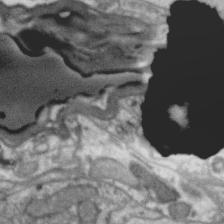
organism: Zebra finch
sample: Brain